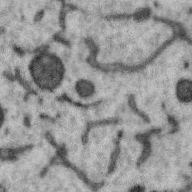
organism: Zebra finch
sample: Brain